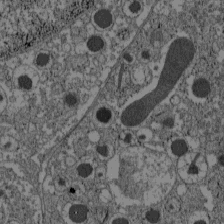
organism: C57BL Mouse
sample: Pancreatic islet